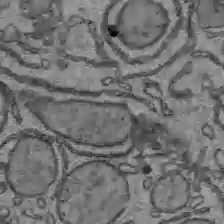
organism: C57BL Mouse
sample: Liver